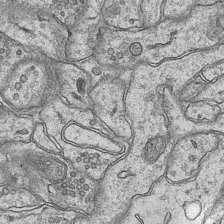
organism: Mouse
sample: CA1 Hippocampus